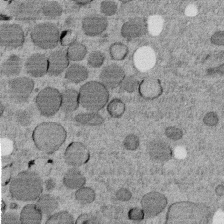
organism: C. elegans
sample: C. elegans embryo early stage